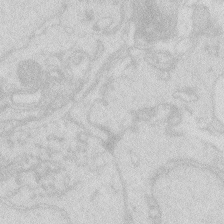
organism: Zebrafish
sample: Macrophage